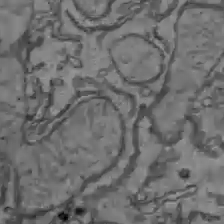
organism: C57BL Mouse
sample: Liver